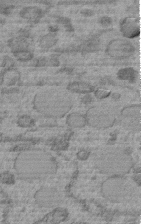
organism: C. elegans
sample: C. elegans embryo early stage